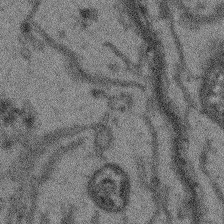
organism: Arabidopsis thaliana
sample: Root tip